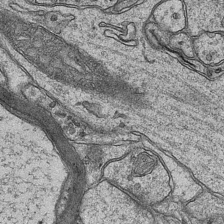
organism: Mouse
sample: CA1 Hippocampus